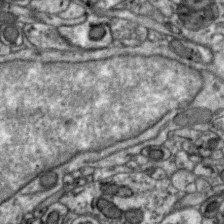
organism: Zebra finch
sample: Brain